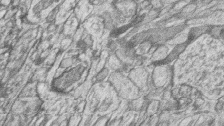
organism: Zebrafish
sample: synaptic ribbons in rod cells and cone cells